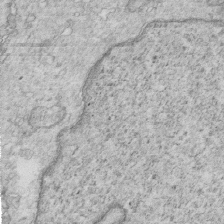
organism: Mouse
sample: Multiciliated cells